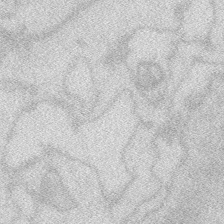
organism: Zebrafish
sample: Macrophage